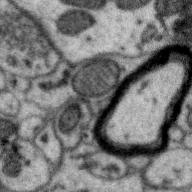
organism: Zebra finch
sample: Brain